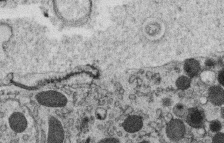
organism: C. elegans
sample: C. elegans oocyte; sperm cells